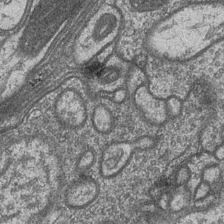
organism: Drosophila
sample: Optic medulla